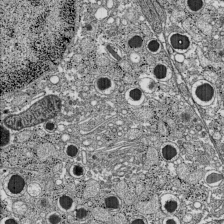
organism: C57BL Mouse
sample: Pancreatic islet